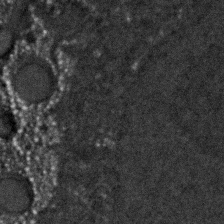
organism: C. elegans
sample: C. elegans embryo